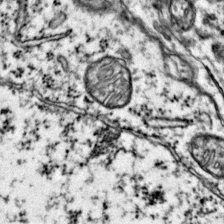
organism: Mouse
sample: Primary visual cortex